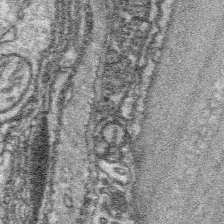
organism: Platynereis dumerilii